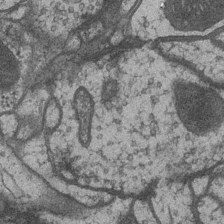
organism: Drosophila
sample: Optic medulla